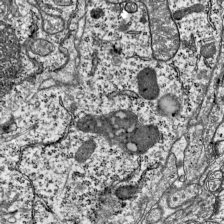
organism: Mouse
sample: Visual Cortex